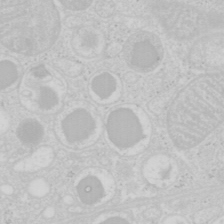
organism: Mouse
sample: Pancreas